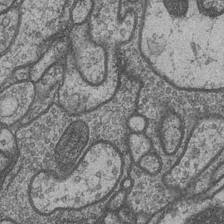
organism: Drosophila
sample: Optic medulla